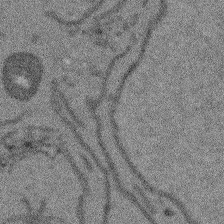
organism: Arabidopsis thaliana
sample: Root tip